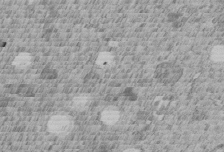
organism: C. elegans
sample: C. elegans embryo early stage